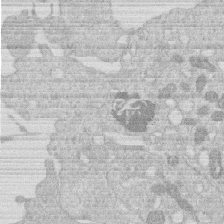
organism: Human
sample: Macrophage cells